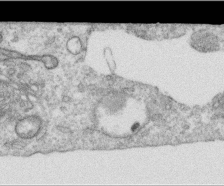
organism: Human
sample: Centriole in RPE cells